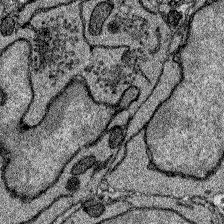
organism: Zebrafish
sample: Larval olfactory bulb